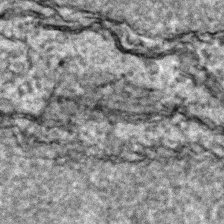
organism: Zebrafish